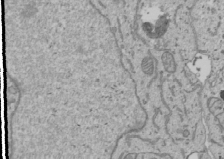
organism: Human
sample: Mitochondria in U2OS cells